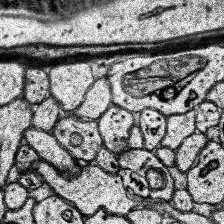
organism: Human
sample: Temporal Lobe